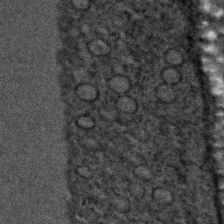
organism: C. elegans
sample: C. elegans embryo